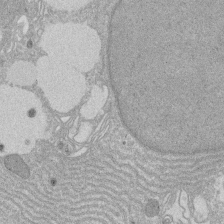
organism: Rat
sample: Salivary granule